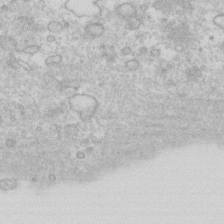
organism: Human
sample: Fibroblast cells